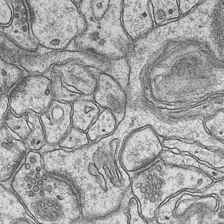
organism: Mouse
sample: CA1 Hippocampus